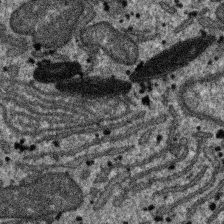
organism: Human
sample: Lung epithelial cells infected with SARS-CoV-2